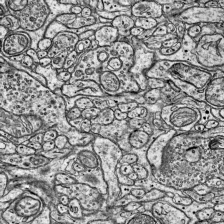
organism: Mouse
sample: Visual Cortex